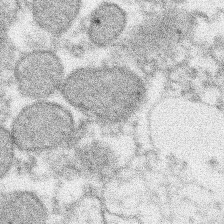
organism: Xenopus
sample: Cilia; centrioles in frog embryo cells